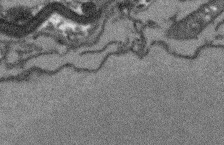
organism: Arabidopsis thaliana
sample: Root tip